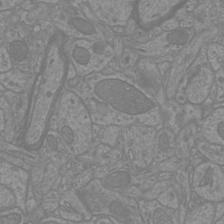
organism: Mouse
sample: Cortical neurons